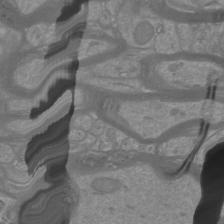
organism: Mouse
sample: Cortical neurons